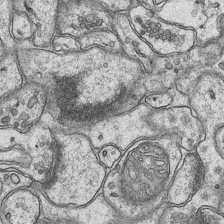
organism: Mouse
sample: CA1 Hippocampus